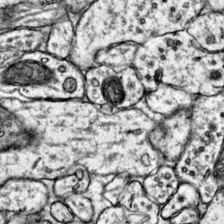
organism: Mouse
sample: Primary visual cortex